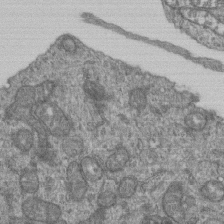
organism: Human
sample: Retinal organoid Rod and Cone cells